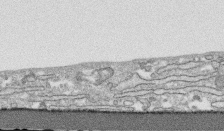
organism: Human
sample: CRL-1474